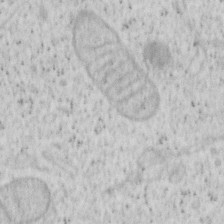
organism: Human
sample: HeLa cells